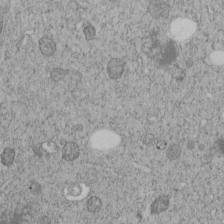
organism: C. elegans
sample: C. elegans embryo early stage